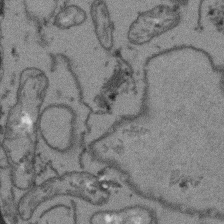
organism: Arabidopsis thaliana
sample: Root tip